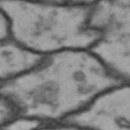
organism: Drosophila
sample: Brain